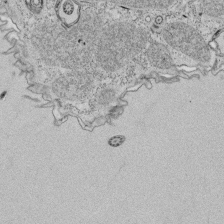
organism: Tetrahymena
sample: Cilia in tetrahymena